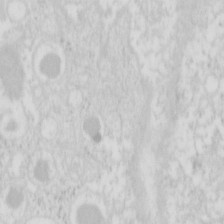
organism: Mouse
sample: Pancreas